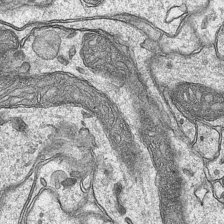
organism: Mouse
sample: CA1 Hippocampus